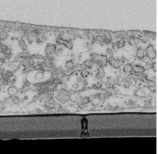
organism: Mouse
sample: Cilia; retinal pigment epithelium